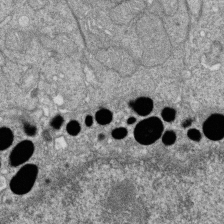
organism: Zebrafish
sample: Cilia; retinal pigment epithelium